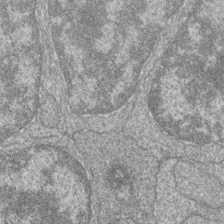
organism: Zebrafish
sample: Cilia; retinal pigment epithelium